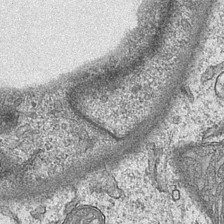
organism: Mouse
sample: CA1 Hippocampus